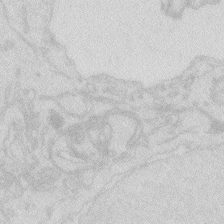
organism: Zebrafish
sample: Macrophage